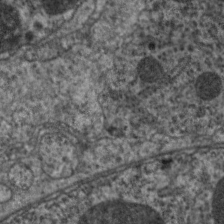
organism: C. elegans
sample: Pharynx